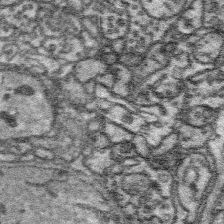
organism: Platynereis dumerilii